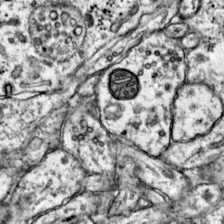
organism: Mouse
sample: Primary visual cortex